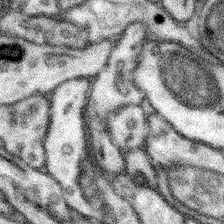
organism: Mouse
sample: Somatosensory cortex neuropil